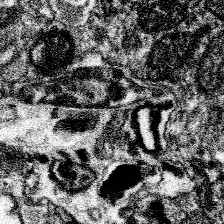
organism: Spongilla lacustris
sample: Neuroid cell